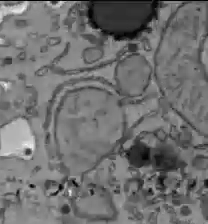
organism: C57BL Mouse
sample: Liver